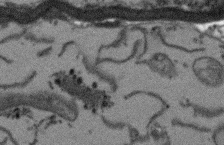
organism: Arabidopsis thaliana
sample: Root tip